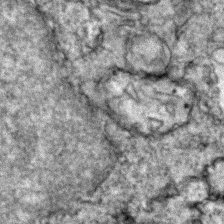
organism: Zebrafish